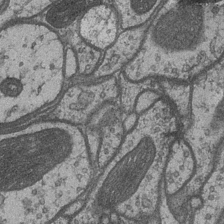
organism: Drosophila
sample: Optic medulla